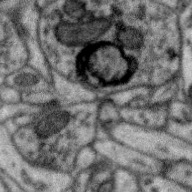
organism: Zebra finch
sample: Brain